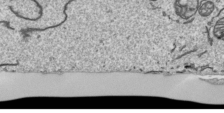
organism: Human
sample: Mitochondria in HCT116 cells